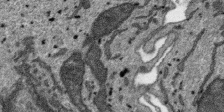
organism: Human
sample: Lung epithelial cells, uninfected (mock) control